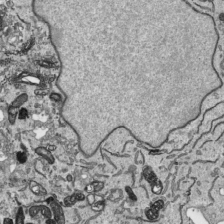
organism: Human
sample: Mitochondria in HCT116 cells